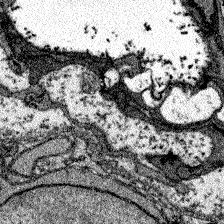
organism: Zebrafish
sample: Larval olfactory bulb